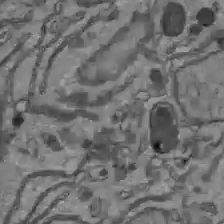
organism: C57BL Mouse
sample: Liver